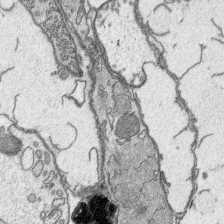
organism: Platynereis dumerilii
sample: Parapodia